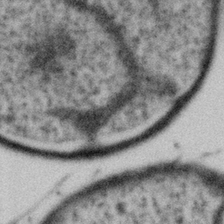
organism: Gemmata obscuriglobus